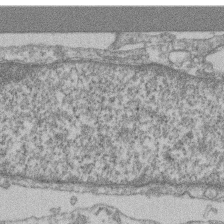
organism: Mouse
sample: T cell stromal cell synapse